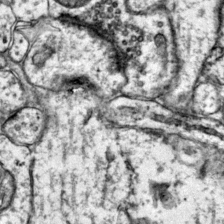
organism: Mouse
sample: Primary visual cortex